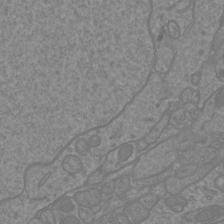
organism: Mouse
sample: Cortical neurons